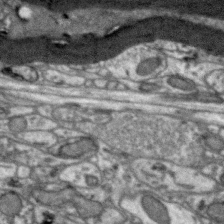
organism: Zebra finch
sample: Brain